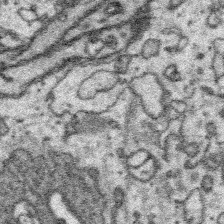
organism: Platynereis dumerilii